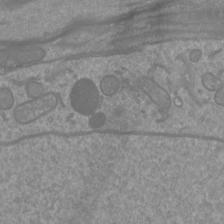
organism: Mouse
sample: Cortical neurons